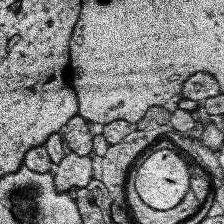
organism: Human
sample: Temporal Lobe